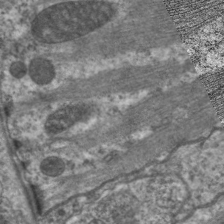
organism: C. elegans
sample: Pharynx